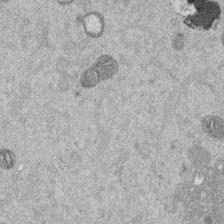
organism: Mouse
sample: Dividing mouse embryo 1 cell stage